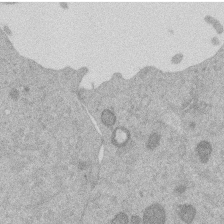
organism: Mouse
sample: Dividing mouse embryo 1 cell stage